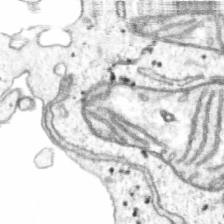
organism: Human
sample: HeLa cells